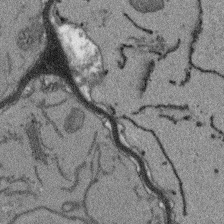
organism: Arabidopsis thaliana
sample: Root tip